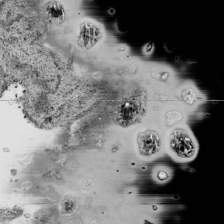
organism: Human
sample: Mitochondria in HCT116 cells